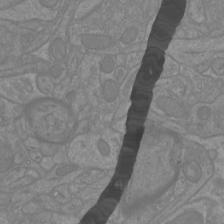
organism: Mouse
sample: Cortical neurons